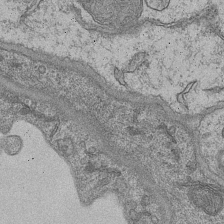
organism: Mouse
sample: CA1 Hippocampus